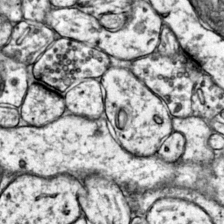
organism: Mouse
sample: Primary visual cortex